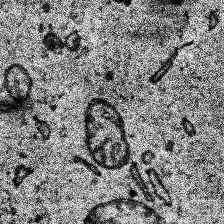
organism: Human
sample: Temporal Lobe